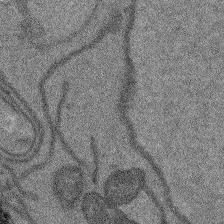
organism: Arabidopsis thaliana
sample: Root tip